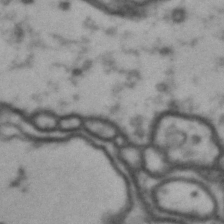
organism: Drosophila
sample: Brain